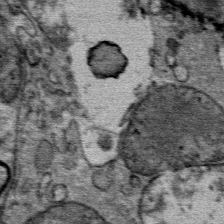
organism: Mouse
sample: Mouse Salivary gland